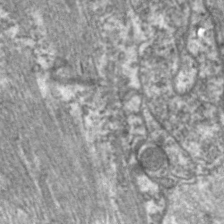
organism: C. elegans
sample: Pharynx